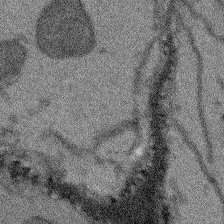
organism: Arabidopsis thaliana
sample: Root tip